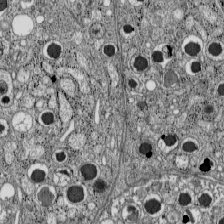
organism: C57BL Mouse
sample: Pancreatic islet